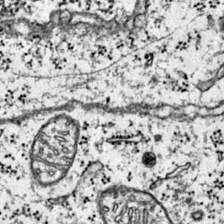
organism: Mouse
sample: Primary visual cortex